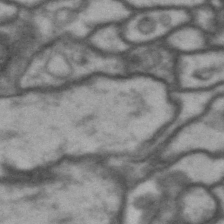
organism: Drosophila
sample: Brain